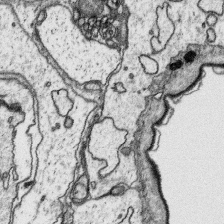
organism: Platynereis dumerilii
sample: Parapodia